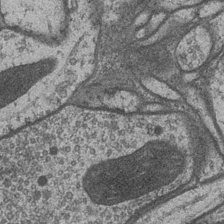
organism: Drosophila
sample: Optic medulla